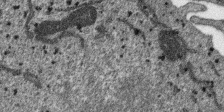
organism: Human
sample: Lung epithelial cells infected with SARS-CoV-2